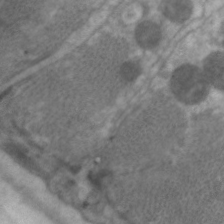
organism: C. elegans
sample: Pharynx